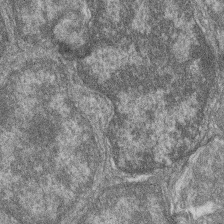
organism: Zebrafish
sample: Cilia; retinal pigment epithelium